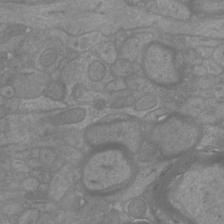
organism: Mouse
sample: Cortical neurons